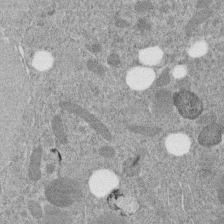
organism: C. elegans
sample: C. elegans embryo early stage